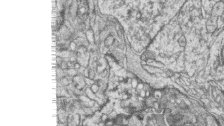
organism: Zebrafish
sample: synaptic ribbons in rod cells and cone cells